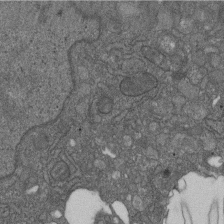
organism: Drosophila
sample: Nephrocyte